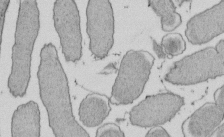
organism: E. coli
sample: Bacterial nucleoid